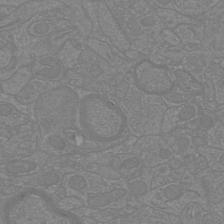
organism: Mouse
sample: Cortical neurons